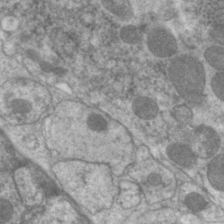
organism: C. elegans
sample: Pharynx